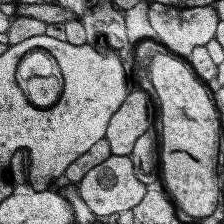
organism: Human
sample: Temporal Lobe